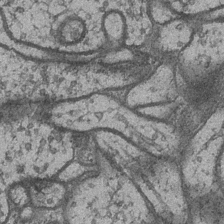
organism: Drosophila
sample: Optic medulla